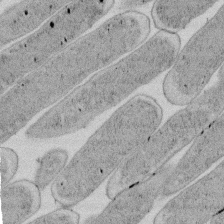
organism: E. coli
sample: Bacterial nucleoid